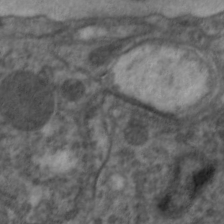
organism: C. elegans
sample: Pharynx